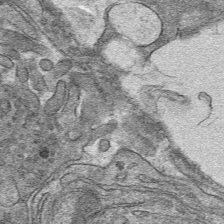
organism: Mouse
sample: Mouse hepatocytes